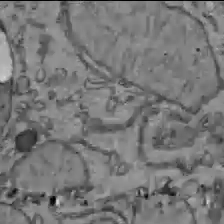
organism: C57BL Mouse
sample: Liver